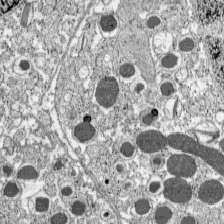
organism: C57BL Mouse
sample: Pancreatic islet